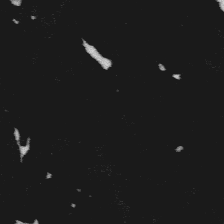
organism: Platynereis dumerilii